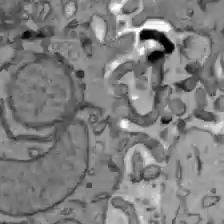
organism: C57BL Mouse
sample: Liver